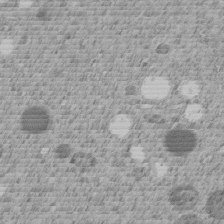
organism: C. elegans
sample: C. elegans embryo early stage